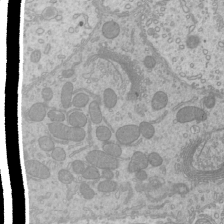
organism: Mouse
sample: Cilia; mouse epididymis